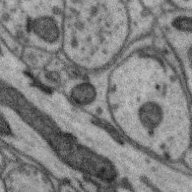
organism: Zebra finch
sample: Brain